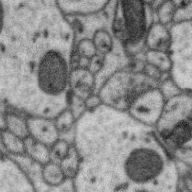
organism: Zebra finch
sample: Brain